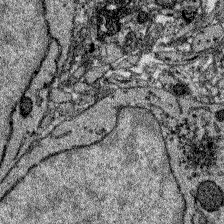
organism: Zebrafish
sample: Larval olfactory bulb